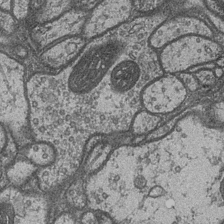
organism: Drosophila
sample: Optic medulla